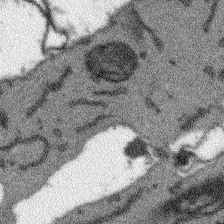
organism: Arabidopsis thaliana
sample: Root tip